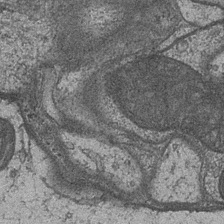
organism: Drosophila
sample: Optic medulla